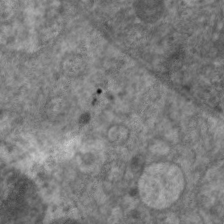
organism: C. elegans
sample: Pharynx